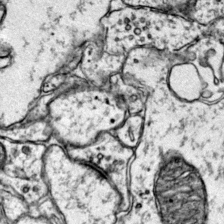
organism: Mouse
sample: Primary visual cortex